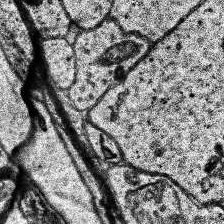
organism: Human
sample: Temporal Lobe